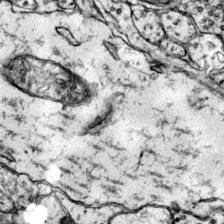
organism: Mouse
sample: Primary visual cortex